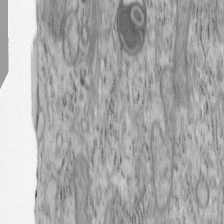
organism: Human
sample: HeLa cells